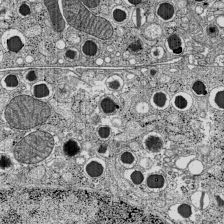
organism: C57BL Mouse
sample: Pancreatic islet